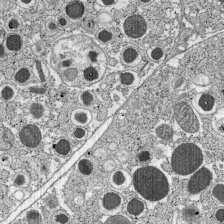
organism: C57BL Mouse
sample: Pancreatic islet